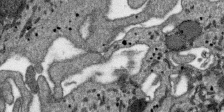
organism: Human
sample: Lung epithelial cells, uninfected (mock) control